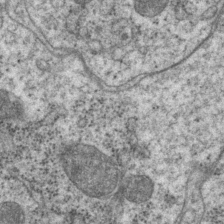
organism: P. pacificus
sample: Pharynx